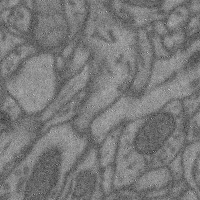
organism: Mouse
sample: Cerebral cortex